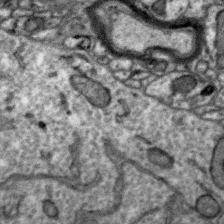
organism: Zebra finch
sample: Brain